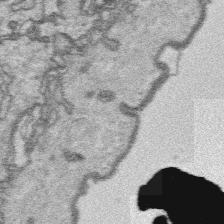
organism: Platynereis dumerilii